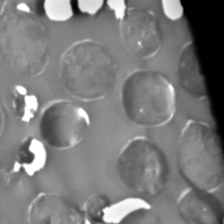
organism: C. elegans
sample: C. elegans embryo